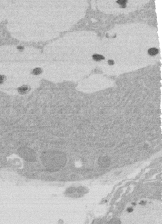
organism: Rat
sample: Salivary granule